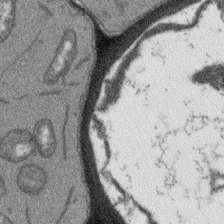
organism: Arabidopsis thaliana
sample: Root tip